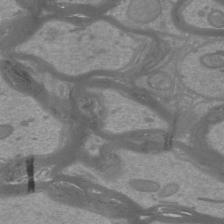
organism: Mouse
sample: Cortical neurons